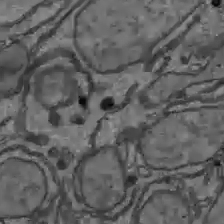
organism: C57BL Mouse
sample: Liver